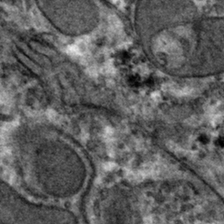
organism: Mouse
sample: Mouse hepatocytes